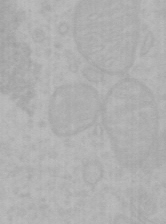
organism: Mouse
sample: Choroid plexus